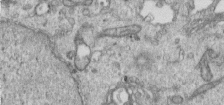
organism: Human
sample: Centriole in RPE cells